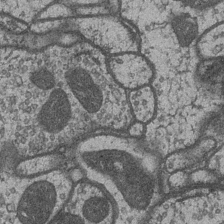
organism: Drosophila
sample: Optic medulla